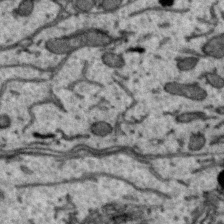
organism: Zebra finch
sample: Brain